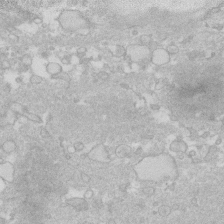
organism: Human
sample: Fibroblast cells